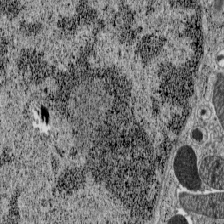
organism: C57BL Mouse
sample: Pancreatic islet